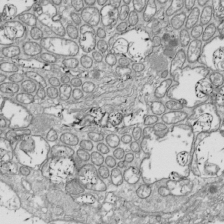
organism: Drosophila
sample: Cell division; meiosis; drosophila spermatocytes